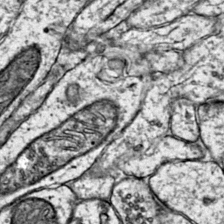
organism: Mouse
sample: Primary visual cortex